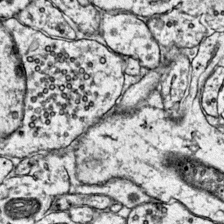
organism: Mouse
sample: Primary visual cortex